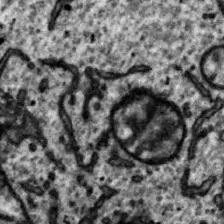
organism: Human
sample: HeLa cells